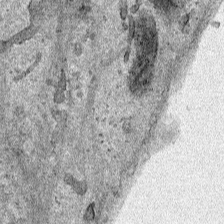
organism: Human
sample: Mitochondria in HCT116 cells